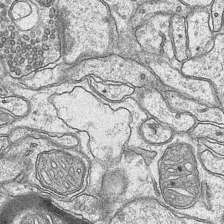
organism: Mouse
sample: CA1 Hippocampus